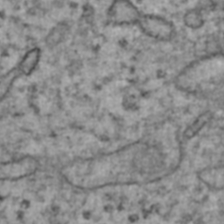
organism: Human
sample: Blood